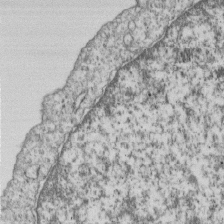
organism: Human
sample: MDA-MB-231 cells